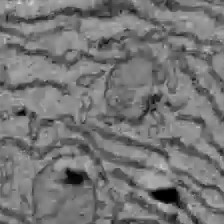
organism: C57BL Mouse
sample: Liver